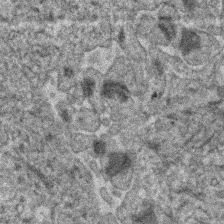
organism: Human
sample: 1205lu cells